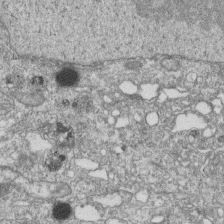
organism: Human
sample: HeLa cell HIV synapse